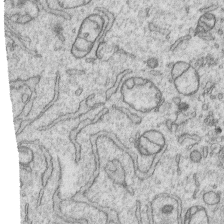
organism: Human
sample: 1205lu cells